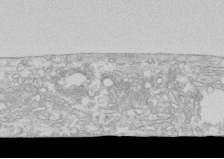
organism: Human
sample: CRL-1474